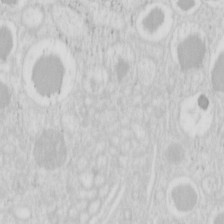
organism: Mouse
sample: Pancreas